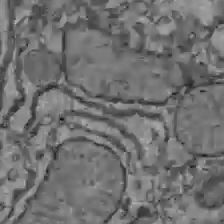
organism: C57BL Mouse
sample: Liver